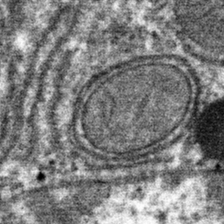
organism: Mouse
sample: Mouse hepatocytes